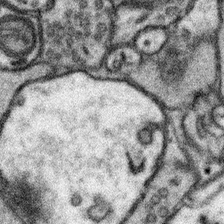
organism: Mouse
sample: Somatosensory cortex neuropil